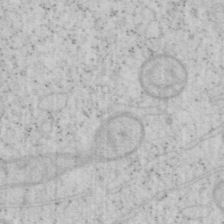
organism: Human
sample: HeLa cells